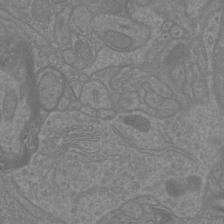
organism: Mouse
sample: Cortical neurons